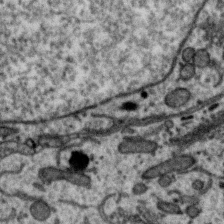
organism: Zebra finch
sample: Brain